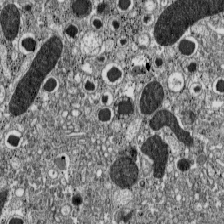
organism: C57BL Mouse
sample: Pancreatic islet